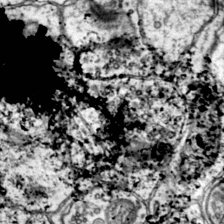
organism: Mouse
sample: Primary visual cortex